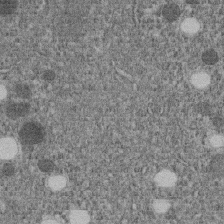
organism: C. elegans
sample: C. elegans embryo early stage